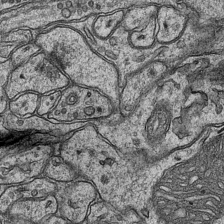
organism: Mouse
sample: CA1 Hippocampus